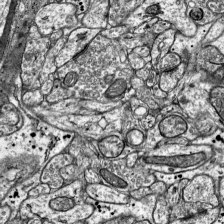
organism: Mouse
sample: Visual Cortex